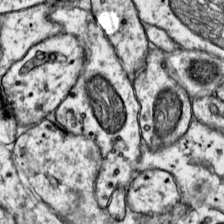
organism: Mouse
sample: Primary visual cortex